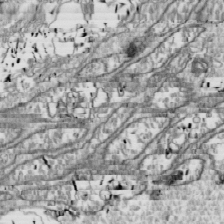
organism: Drosophila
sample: Cell division; meiosis; drosophila spermatocytes